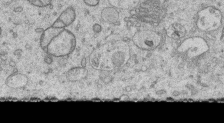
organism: Human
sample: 1205lu cells